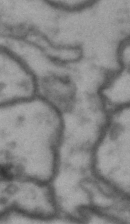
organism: Drosophila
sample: Brain